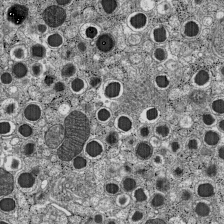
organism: C57BL Mouse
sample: Pancreatic islet